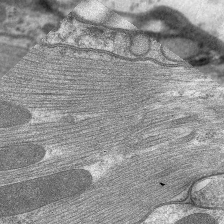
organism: C. elegans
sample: Pharynx